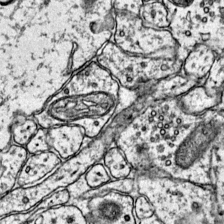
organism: Mouse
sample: Primary visual cortex